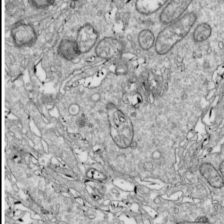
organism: Drosophila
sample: Cell division; meiosis; drosophila spermatocytes